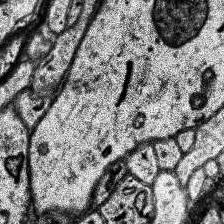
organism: Human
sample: Temporal Lobe